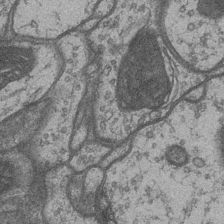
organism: Drosophila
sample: Optic medulla